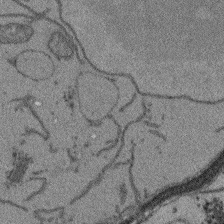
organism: Arabidopsis thaliana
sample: Root tip